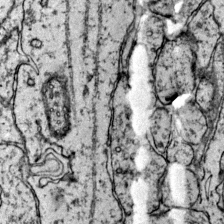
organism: Mouse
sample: Primary visual cortex